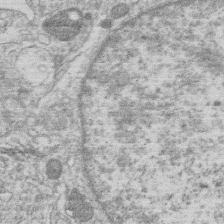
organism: Human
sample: Macrophage cells